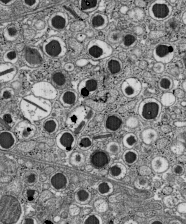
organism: C57BL Mouse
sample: Pancreatic islet